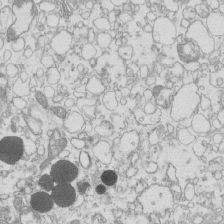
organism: Mouse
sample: Macrophages